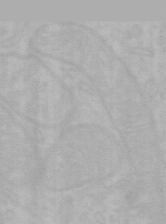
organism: Mouse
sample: Choroid plexus